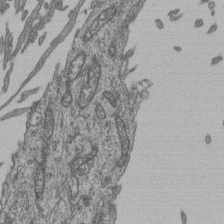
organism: Human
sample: Retinal organoid Rod and Cone cells